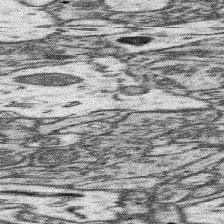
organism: Mouse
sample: Somatosensory cortex neuropil